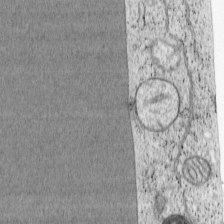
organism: African green monkey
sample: COS-7 cells